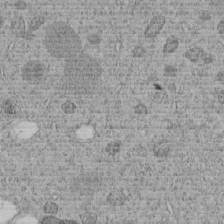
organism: C. elegans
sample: C. elegans embryo early stage